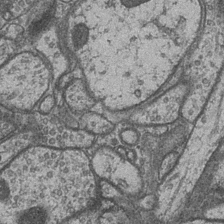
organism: Drosophila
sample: Optic medulla